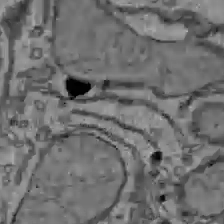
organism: C57BL Mouse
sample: Liver